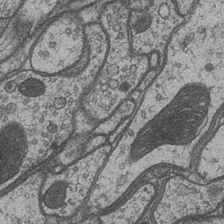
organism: Drosophila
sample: Optic medulla